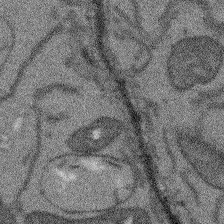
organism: Arabidopsis thaliana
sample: Root tip